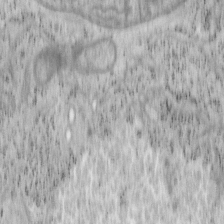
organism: Human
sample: HeLa cells